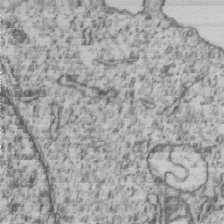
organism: Human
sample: MDA-MB-231 cells